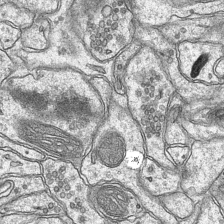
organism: Mouse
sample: CA1 Hippocampus